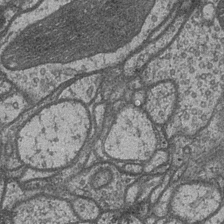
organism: Drosophila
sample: Optic medulla